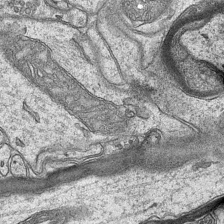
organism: Mouse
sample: CA1 Hippocampus